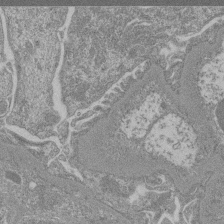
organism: Mouse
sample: Glomerulus